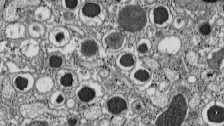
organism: C57BL Mouse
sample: Pancreatic islet